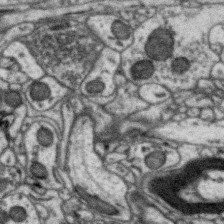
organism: Zebra finch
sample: Brain